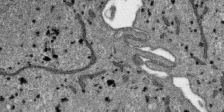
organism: Human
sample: Lung epithelial cells, uninfected (mock) control